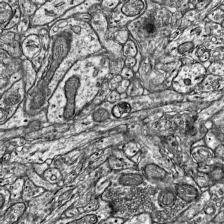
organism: Mouse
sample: Visual Cortex